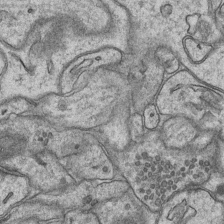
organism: Mouse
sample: CA1 Hippocampus